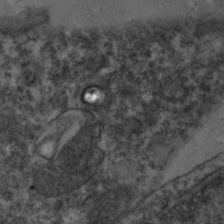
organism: Zebrafish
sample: Zebrafish embryo